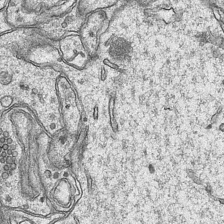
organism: Mouse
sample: CA1 Hippocampus